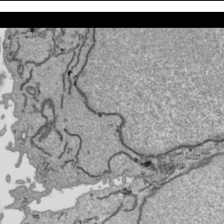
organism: Human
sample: Mitochondria in HCT116 cells